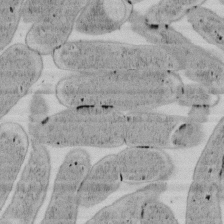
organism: E. coli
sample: Bacterial nucleoid